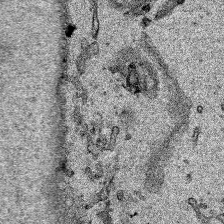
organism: Human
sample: Mitochondria in HCT116 cells